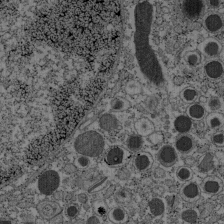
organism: C57BL Mouse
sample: Pancreatic islet